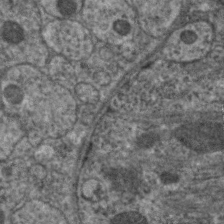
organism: C. elegans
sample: Pharynx